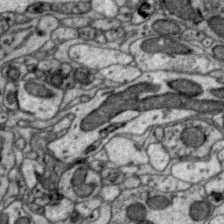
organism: Zebra finch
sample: Brain